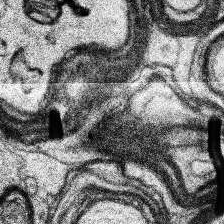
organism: Human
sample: Temporal Lobe